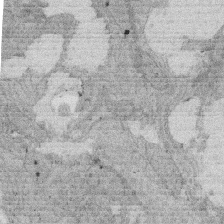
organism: Rat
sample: Salivary granule